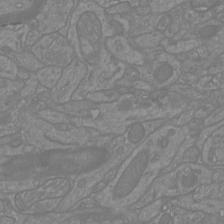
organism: Mouse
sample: Cortical neurons